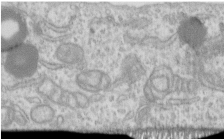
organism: Human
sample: Centriole in RPE cells